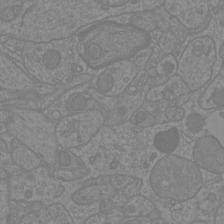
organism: Mouse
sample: Cortical neurons